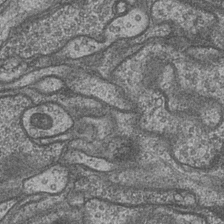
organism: Drosophila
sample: Optic medulla